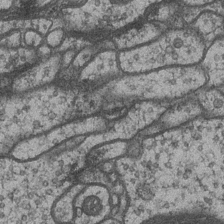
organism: Drosophila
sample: Optic medulla